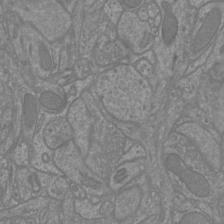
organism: Mouse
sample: Cortical neurons